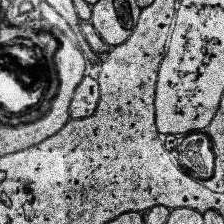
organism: Human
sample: Temporal Lobe